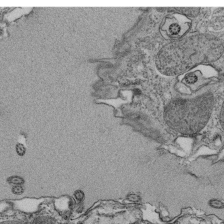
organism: Tetrahymena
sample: Cilia in tetrahymena